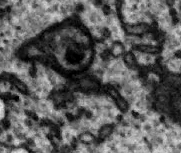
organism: Human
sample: HeLa cells